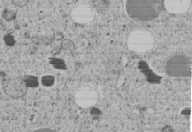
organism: C. elegans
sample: C. elegans embryo early stage